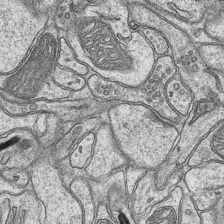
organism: Mouse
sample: CA1 Hippocampus